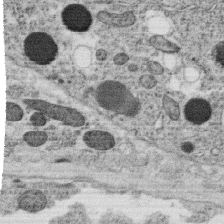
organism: C. elegans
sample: C. elegans oocyte; sperm cells